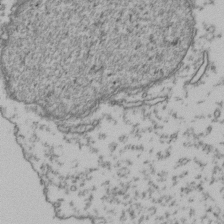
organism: Human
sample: Activated Jurkat CD4+ T cells